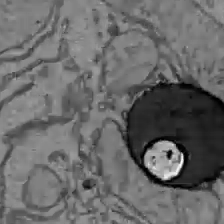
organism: C57BL Mouse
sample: Liver